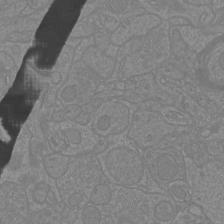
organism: Mouse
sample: Cortical neurons